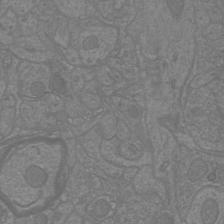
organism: Mouse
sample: Cortical neurons